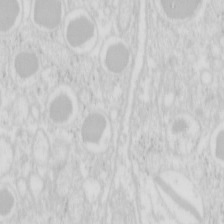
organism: Mouse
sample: Pancreas